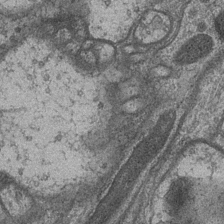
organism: Drosophila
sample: Optic medulla